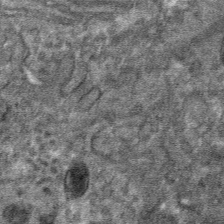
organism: Mouse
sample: Mouse hepatocytes